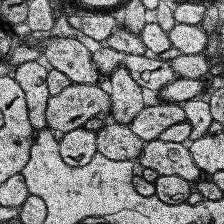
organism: Human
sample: Temporal Lobe